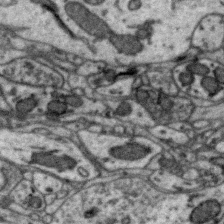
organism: Zebra finch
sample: Brain